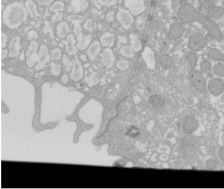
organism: Xenopus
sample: Cilia; centrioles in frog embryo cells